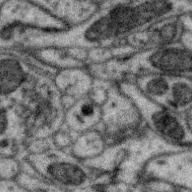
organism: Zebra finch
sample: Brain